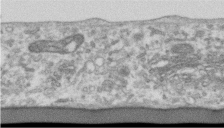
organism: Human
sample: Centriole in RPE cells